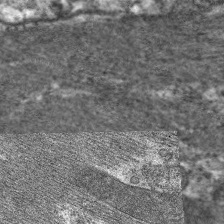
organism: C. elegans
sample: Pharynx